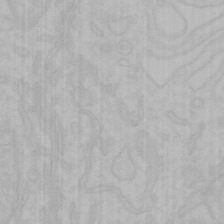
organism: Mouse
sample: Choroid plexus